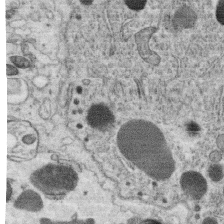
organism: C. elegans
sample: C. elegans oocyte; sperm cells